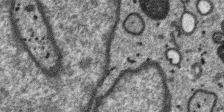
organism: Human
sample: Lung epithelial cells infected with SARS-CoV-2